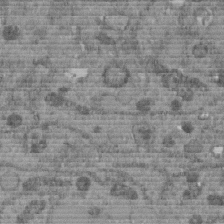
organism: C. elegans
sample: C. elegans embryo early stage